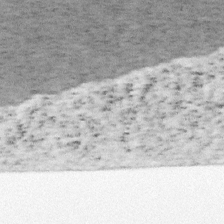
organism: Mouse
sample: OT-I killer T cells with ID8 ovarian cancer cells